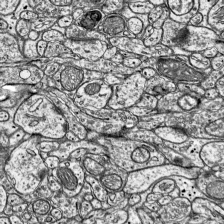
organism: Mouse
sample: Visual Cortex